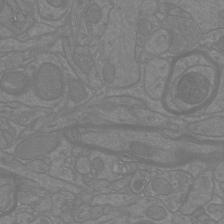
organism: Mouse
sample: Cortical neurons